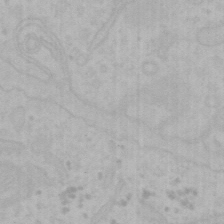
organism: Mouse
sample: Choroid plexus